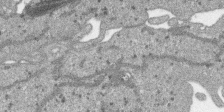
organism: Human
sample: Lung epithelial cells infected with SARS-CoV-2